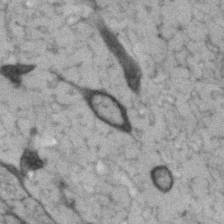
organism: Human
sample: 1205lu cells